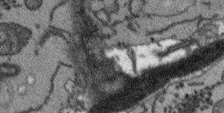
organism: Arabidopsis thaliana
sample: Root tip